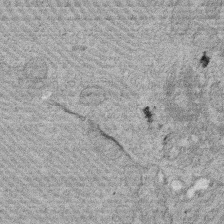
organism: Rat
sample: Salivary granule